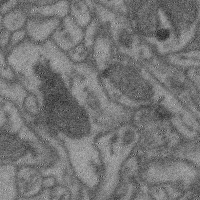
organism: Mouse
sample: Cerebral cortex